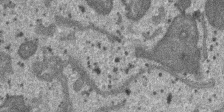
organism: Human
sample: Lung epithelial cells infected with SARS-CoV-2